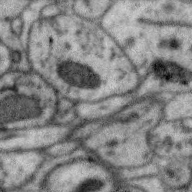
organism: Zebra finch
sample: Brain